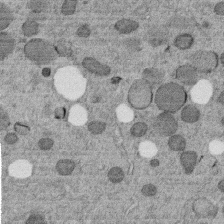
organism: C. elegans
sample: C. elegans embryo early stage